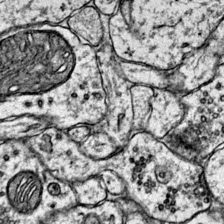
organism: Mouse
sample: Primary visual cortex